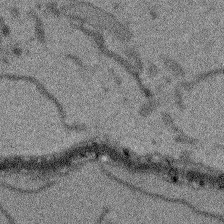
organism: Arabidopsis thaliana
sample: Root tip